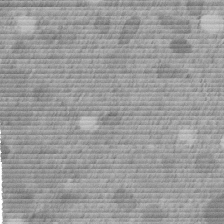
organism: C. elegans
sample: C. elegans embryo early stage